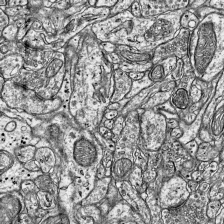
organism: Mouse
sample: Visual Cortex